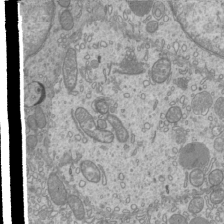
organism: Mouse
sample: Cilia; mouse epididymis